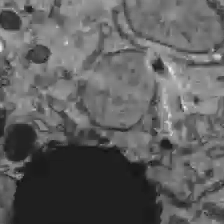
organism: C57BL Mouse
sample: Liver